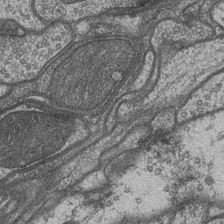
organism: Drosophila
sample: Optic medulla